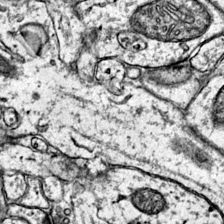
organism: Mouse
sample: Primary visual cortex